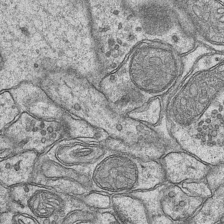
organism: Mouse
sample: CA1 Hippocampus